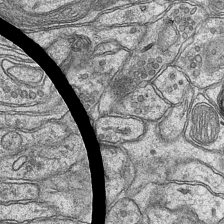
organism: Mouse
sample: CA1 Hippocampus